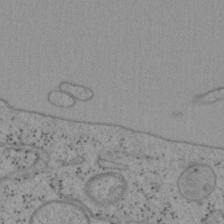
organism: Human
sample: HeLa cells